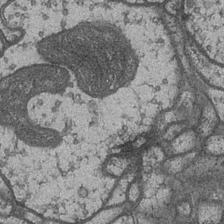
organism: Drosophila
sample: Optic medulla